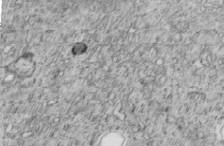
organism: C. elegans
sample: C. elegans embryo early stage